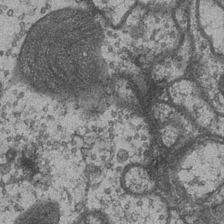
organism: Drosophila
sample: Optic medulla